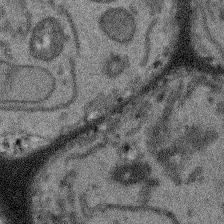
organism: Arabidopsis thaliana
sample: Root tip